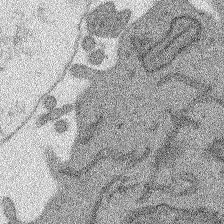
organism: Human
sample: HeLa cells